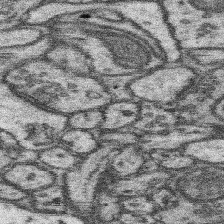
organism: Mouse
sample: Somatosensory cortex neuropil